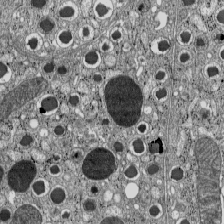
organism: C57BL Mouse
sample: Pancreatic islet